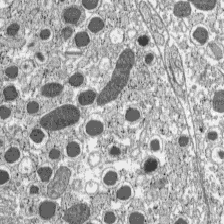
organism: C57BL Mouse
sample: Pancreatic islet